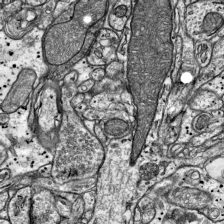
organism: Mouse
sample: Visual Cortex